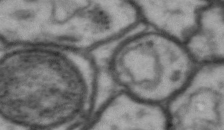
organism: Drosophila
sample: Brain